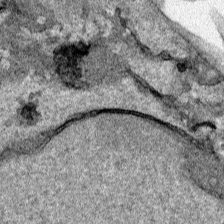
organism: Human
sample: Mitochondria in HCT116 cells